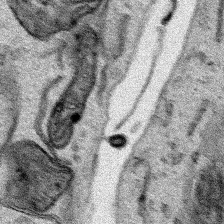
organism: Human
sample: Mitochondria in HCT116 cells